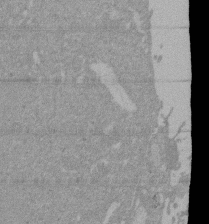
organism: Mouse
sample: ED-1 cell nuclei; centrioles